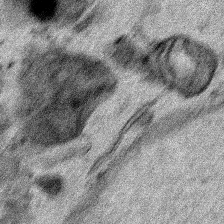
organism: Human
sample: Mitochondria in HCT116 cells